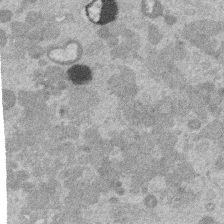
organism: Mouse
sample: Dividing mouse embryo 1 cell stage